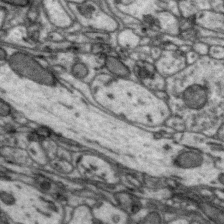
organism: Zebra finch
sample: Brain